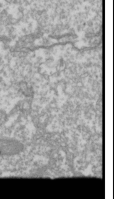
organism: Drosophila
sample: Cell division; meiosis; drosophila spermatocytes